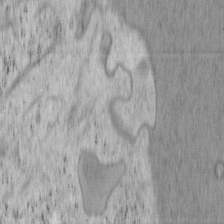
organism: Human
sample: HeLa cells